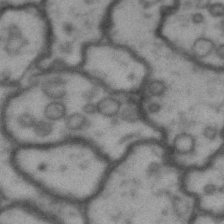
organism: Drosophila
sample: Brain